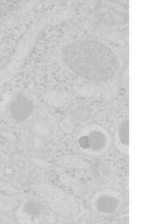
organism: Mouse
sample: Pancreas